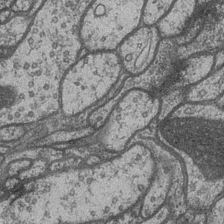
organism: Drosophila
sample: Optic medulla